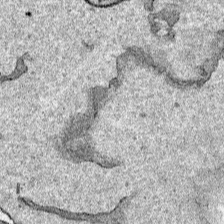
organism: Human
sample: Mitochondria in HCT116 cells